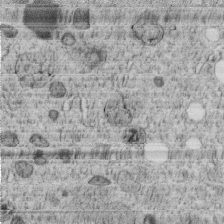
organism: C. elegans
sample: C. elegans embryo early stage